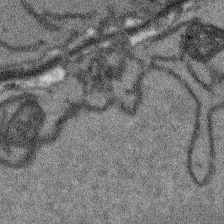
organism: Arabidopsis thaliana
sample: Root tip